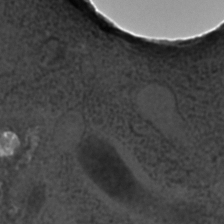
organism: C. elegans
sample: C. elegans embryo